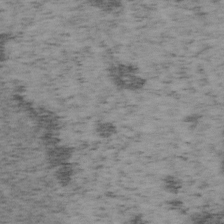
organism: Mouse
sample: OT-I killer T cells with ID8 ovarian cancer cells